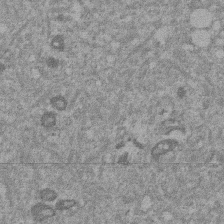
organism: Mouse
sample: Dividing mouse embryo 1 cell stage